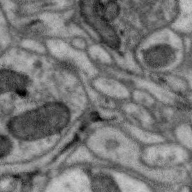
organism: Zebra finch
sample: Brain